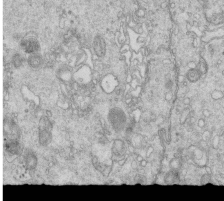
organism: Mouse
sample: Multiciliated cells